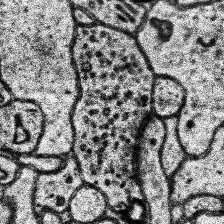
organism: Human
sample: Temporal Lobe